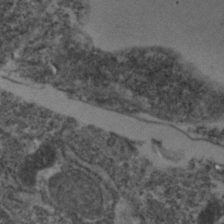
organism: Zebrafish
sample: Zebrafish embryo